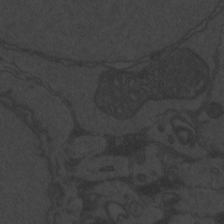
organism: Zebrafish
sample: Macrophage infected with Toxoplasma gondii